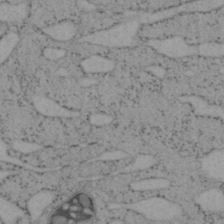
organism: Mouse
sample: OT-I killer T cells with ID8 ovarian cancer cells